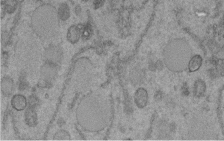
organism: C. elegans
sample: C. elegans embryo early stage